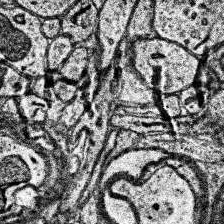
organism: Human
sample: Temporal Lobe